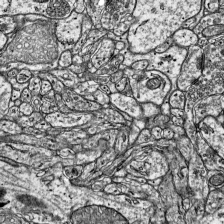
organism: Mouse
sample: Visual Cortex